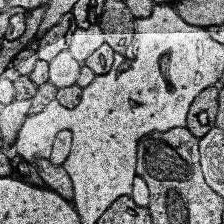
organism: Human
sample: Temporal Lobe